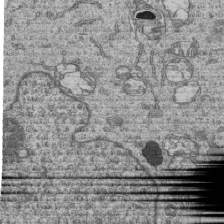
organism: Human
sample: MDA-MB-231 cells